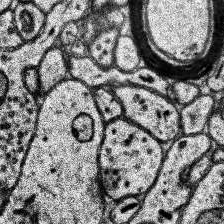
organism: Human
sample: Temporal Lobe